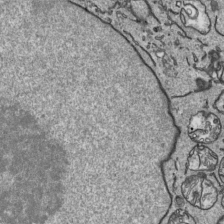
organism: Human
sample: Mitochondria in HCT116 cells